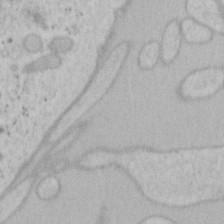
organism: Human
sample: HeLa cells